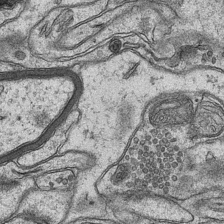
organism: Mouse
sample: CA1 Hippocampus